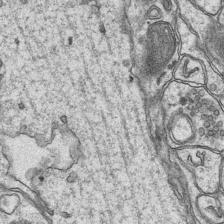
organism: Mouse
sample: CA1 Hippocampus